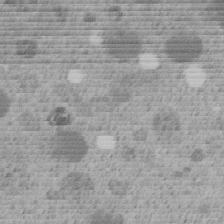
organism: C. elegans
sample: C. elegans embryo early stage